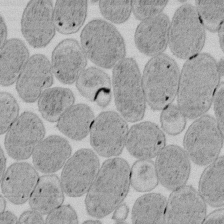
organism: E. coli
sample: Bacterial nucleoid